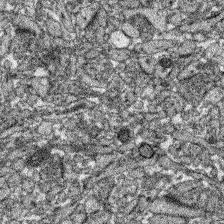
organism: Zebrafish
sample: Larval olfactory bulb